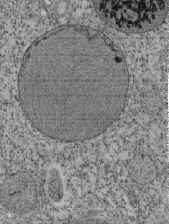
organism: Tetrahymena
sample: Cilia in tetrahymena